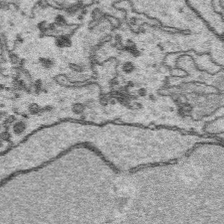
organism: Platynereis dumerilii